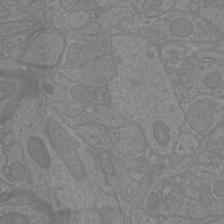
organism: Mouse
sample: Cortical neurons